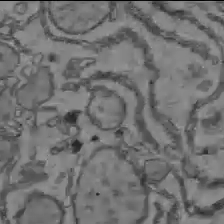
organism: C57BL Mouse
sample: Liver